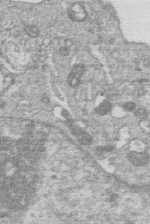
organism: Human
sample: Macrophage cells